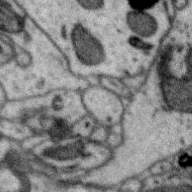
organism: Zebra finch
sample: Brain